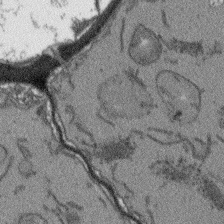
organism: Arabidopsis thaliana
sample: Root tip